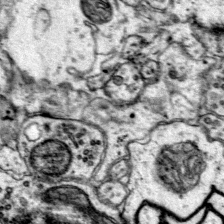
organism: Mouse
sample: Primary visual cortex